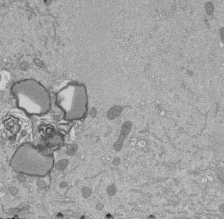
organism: Mouse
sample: ED-1 cell nuclei; centrioles